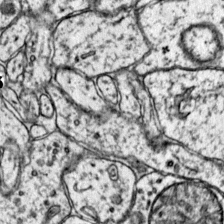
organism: Mouse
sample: Primary visual cortex